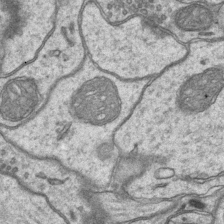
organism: Mouse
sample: CA1 Hippocampus